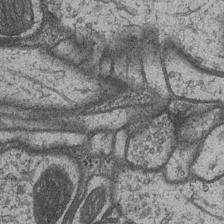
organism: Drosophila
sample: Optic medulla